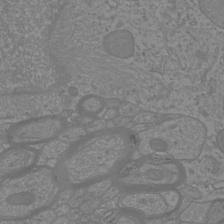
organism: Mouse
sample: Cortical neurons